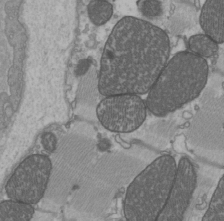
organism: C57BL Mouse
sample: Heart